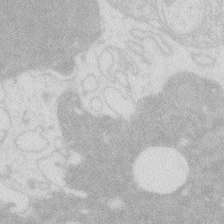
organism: Zebrafish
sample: Macrophage